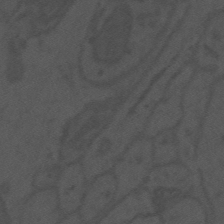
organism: Mouse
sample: Suprachiasmatic nucleus